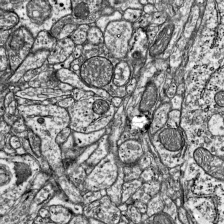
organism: Mouse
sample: Visual Cortex